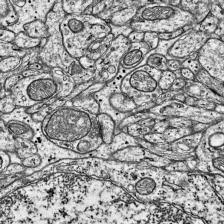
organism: Mouse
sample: Visual Cortex